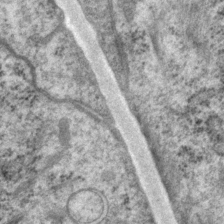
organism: P. pacificus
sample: Pharynx